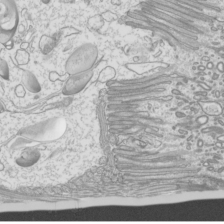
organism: Mouse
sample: Cilia; mouse epididymis